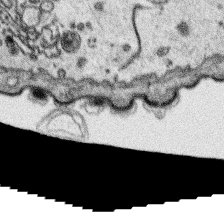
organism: Platynereis dumerilii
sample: Parapodia